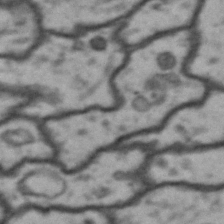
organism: Drosophila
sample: Brain